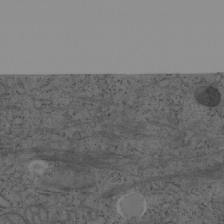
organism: Human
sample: HeLa cells